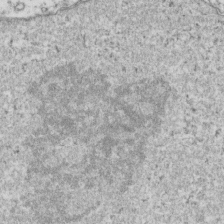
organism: Human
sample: Activated Jurkat CD4+ T cells